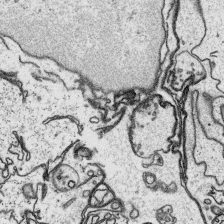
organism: Platynereis dumerilii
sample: Parapodia